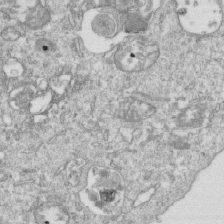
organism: Mouse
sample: Activated OT-1 CD8+ T cells